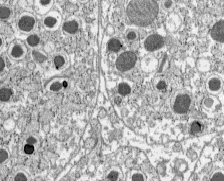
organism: C57BL Mouse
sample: Pancreatic islet